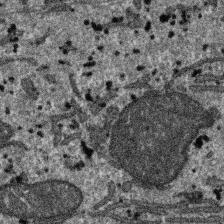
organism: Human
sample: Lung epithelial cells infected with SARS-CoV-2